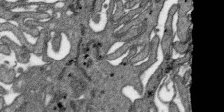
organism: Human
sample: Lung epithelial cells, uninfected (mock) control